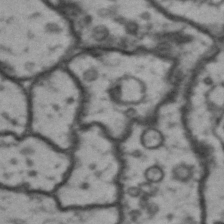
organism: Drosophila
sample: Brain